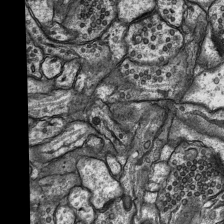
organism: Rat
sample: Hippocampus